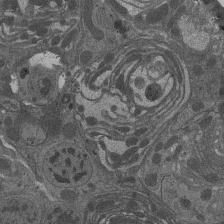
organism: Drosophila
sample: Antenna